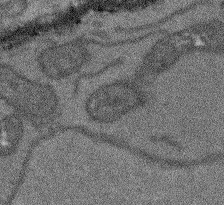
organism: Arabidopsis thaliana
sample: Root tip